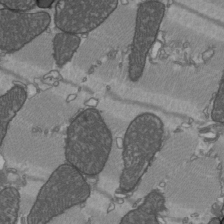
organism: C57BL Mouse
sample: Heart